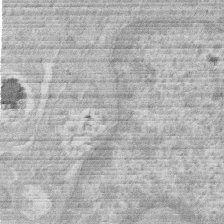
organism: Human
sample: Macrophage cells